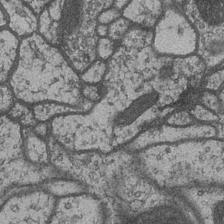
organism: Drosophila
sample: Optic medulla